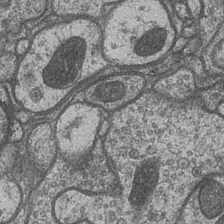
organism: Drosophila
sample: Optic medulla